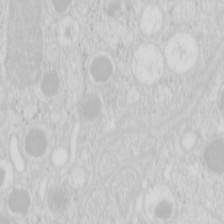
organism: Mouse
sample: Pancreas